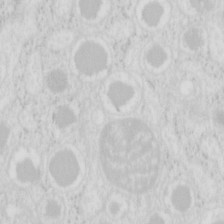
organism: Mouse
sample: Pancreas